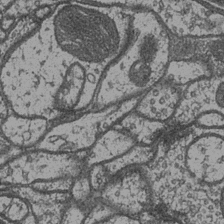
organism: Drosophila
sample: Optic medulla